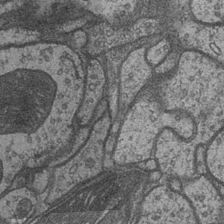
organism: Drosophila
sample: Optic medulla